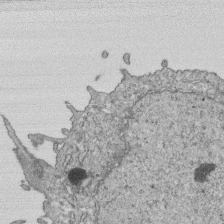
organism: Human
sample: HeLa cell HIV synapse